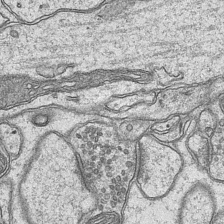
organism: Mouse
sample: CA1 Hippocampus